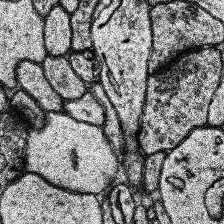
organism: Human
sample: Temporal Lobe